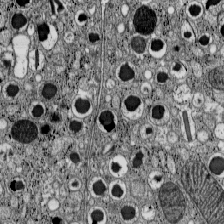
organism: C57BL Mouse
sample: Pancreatic islet